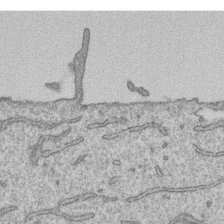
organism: Human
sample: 1205lu cells